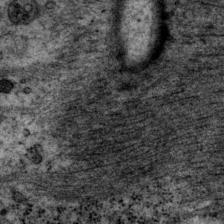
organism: P. pacificus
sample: Pharynx